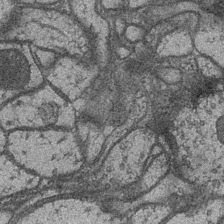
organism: Drosophila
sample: Optic medulla